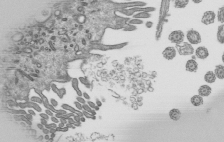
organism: Mouse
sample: Mouse epididymis efferent ductule cilia